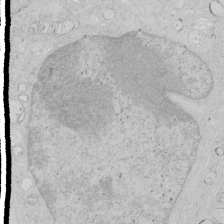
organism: Human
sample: Mitochondria in HCT116 cells